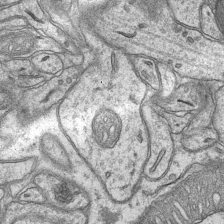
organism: Mouse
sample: CA1 Hippocampus